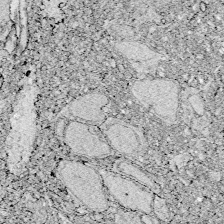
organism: Zebrafish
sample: Whole-Brain